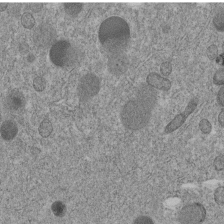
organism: C. elegans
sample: C. elegans embryo early stage